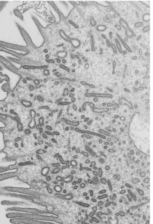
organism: Mouse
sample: Mouse epididymis efferent ductule cilia